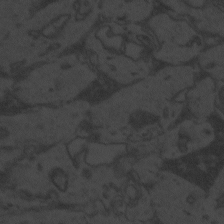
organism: Zebrafish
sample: Macrophage infected with Toxoplasma gondii